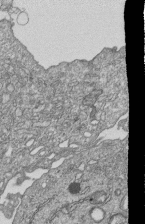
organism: Human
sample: MDA-MB-231 cells